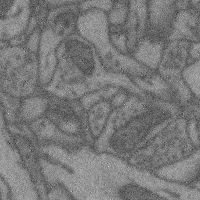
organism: Mouse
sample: Cerebral cortex